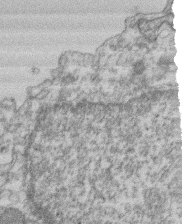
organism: Mouse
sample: T cell stromal cell synapse